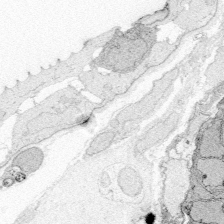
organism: Zebrafish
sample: Whole-Brain